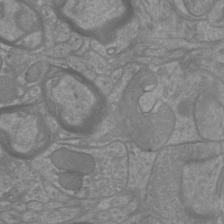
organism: Mouse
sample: Cortical neurons